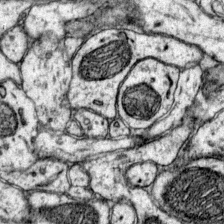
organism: Mouse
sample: Primary visual cortex